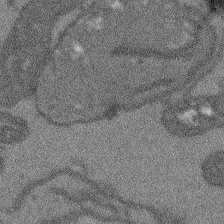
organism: Arabidopsis thaliana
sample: Root tip